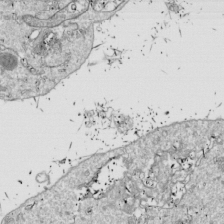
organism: Drosophila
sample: Cell division; meiosis; drosophila spermatocytes